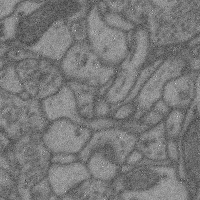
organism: Mouse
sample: Cerebral cortex